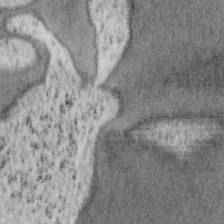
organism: Mouse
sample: OT-I killer T cells with ID8 ovarian cancer cells